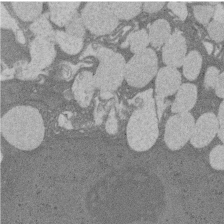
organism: Rat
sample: Salivary granule